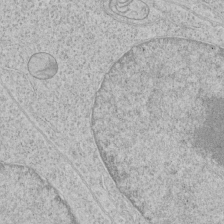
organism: Human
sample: Mitochondria in HCT116 cells